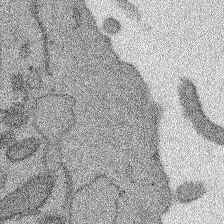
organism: Human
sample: HeLa cells